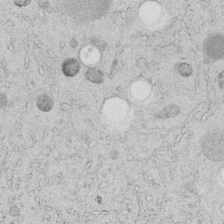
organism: C. elegans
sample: C. elegans embryo early stage